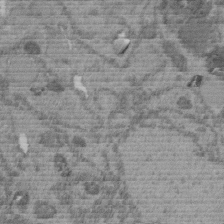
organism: C. elegans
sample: C. elegans embryo early stage